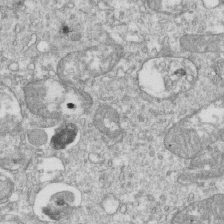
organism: Mouse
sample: Activated OT-1 CD8+ T cells